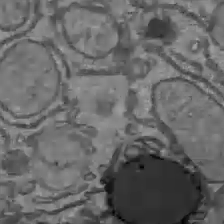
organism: C57BL Mouse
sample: Liver